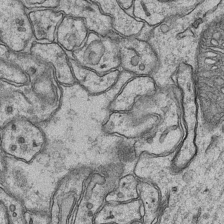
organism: Mouse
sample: CA1 Hippocampus